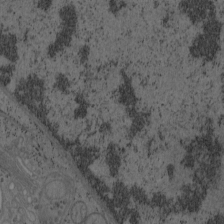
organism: Mouse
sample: OT-I killer T cells with ID8 ovarian cancer cells